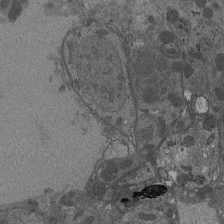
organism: Drosophila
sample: Antenna